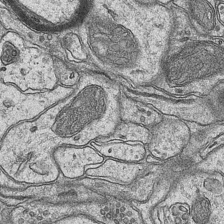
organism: Mouse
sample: CA1 Hippocampus